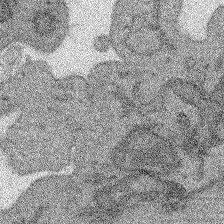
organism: Human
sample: HeLa cells